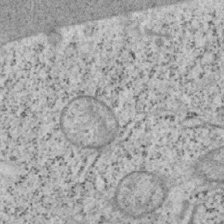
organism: Mouse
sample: OT-I killer T cells with ID8 ovarian cancer cells